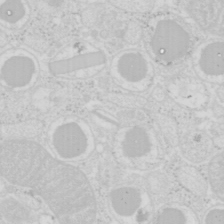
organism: Mouse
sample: Pancreas